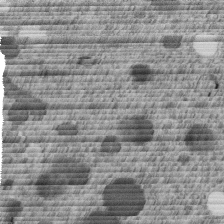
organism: C. elegans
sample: C. elegans embryo early stage